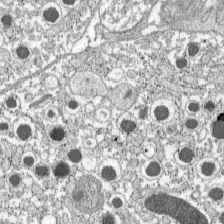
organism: C57BL Mouse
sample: Pancreatic islet